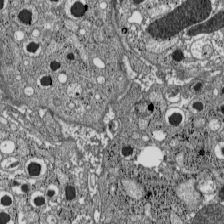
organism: C57BL Mouse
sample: Pancreatic islet